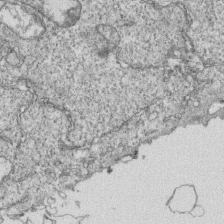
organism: Human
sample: HeLa cell HIV synapse